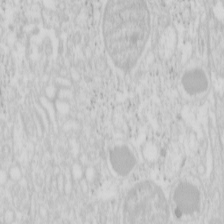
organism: Mouse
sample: Pancreas